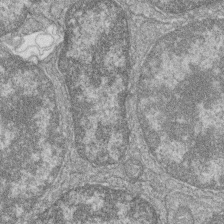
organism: Zebrafish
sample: Cilia; retinal pigment epithelium